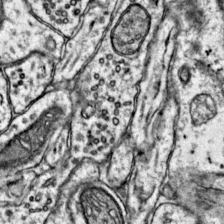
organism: Mouse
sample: Primary visual cortex